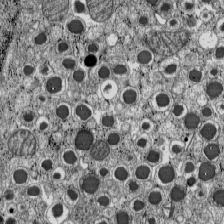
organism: C57BL Mouse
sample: Pancreatic islet